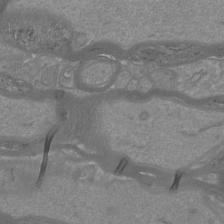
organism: Mouse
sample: Cortical neurons